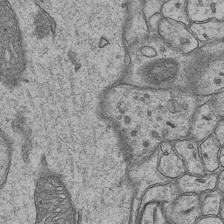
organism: Mouse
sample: CA1 Hippocampus